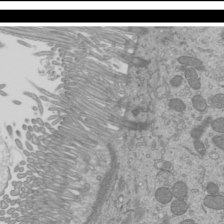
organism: Mouse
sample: Cilia; mouse epididymis